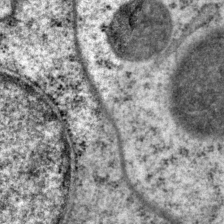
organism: P. pacificus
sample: Pharynx